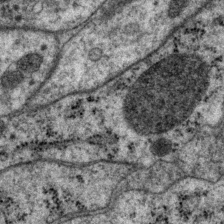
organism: P. pacificus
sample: Pharynx